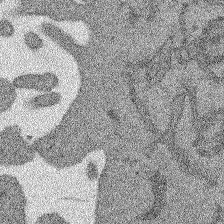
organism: Human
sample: HeLa cells